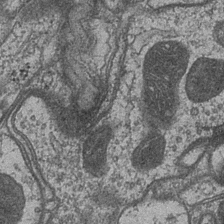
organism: Drosophila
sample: Optic medulla